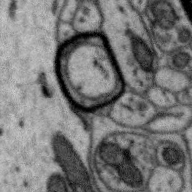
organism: Zebra finch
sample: Brain